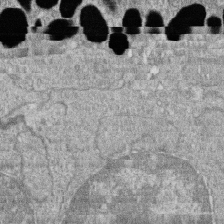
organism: Zebrafish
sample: Cilia; retinal pigment epithelium